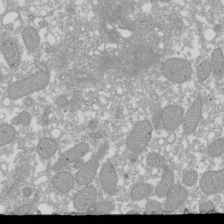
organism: Xenopus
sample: Cilia; centrioles in frog embryo cells